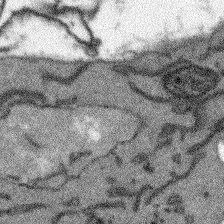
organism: Arabidopsis thaliana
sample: Root tip